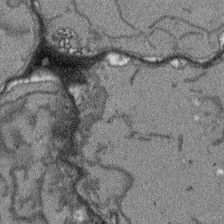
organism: Arabidopsis thaliana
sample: Root tip